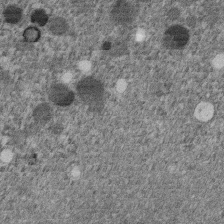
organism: C. elegans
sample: C. elegans embryo early stage